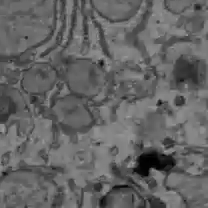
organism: C57BL Mouse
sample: Liver